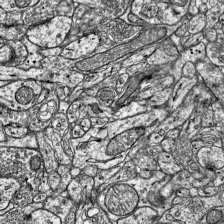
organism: Mouse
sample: Visual Cortex